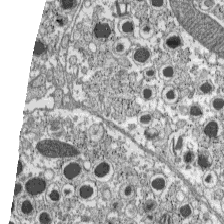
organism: C57BL Mouse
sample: Pancreatic islet